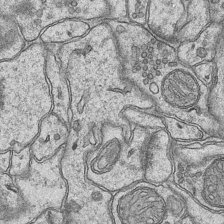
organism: Mouse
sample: CA1 Hippocampus